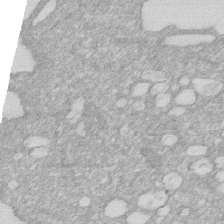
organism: Human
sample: HIV infected U937 cells